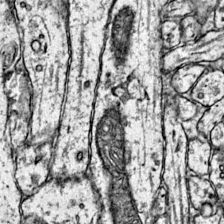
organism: Mouse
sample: Primary visual cortex